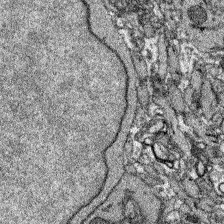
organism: Zebrafish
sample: Larval olfactory bulb